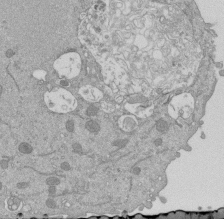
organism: Mouse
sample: ED-1 cell nuclei; centrioles